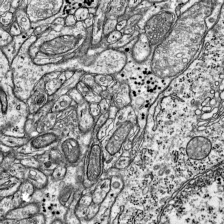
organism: Mouse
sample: Visual Cortex